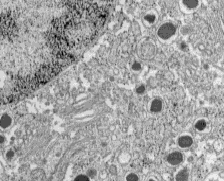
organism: C57BL Mouse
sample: Pancreatic islet